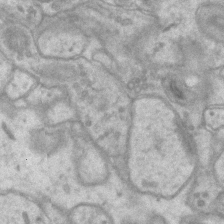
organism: Mouse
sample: CA1 Hippocampus